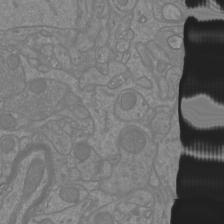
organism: Mouse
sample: Cortical neurons